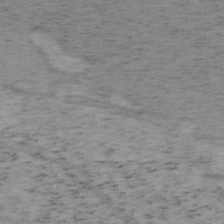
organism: Mouse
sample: OT-I killer T cells with ID8 ovarian cancer cells